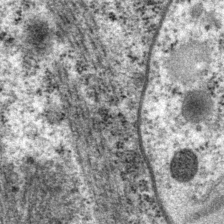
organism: P. pacificus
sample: Pharynx